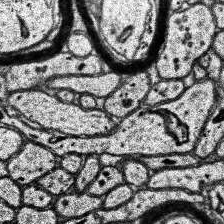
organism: Human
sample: Temporal Lobe